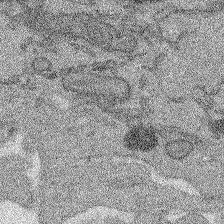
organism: Human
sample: HeLa cells